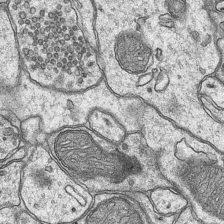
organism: Mouse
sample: CA1 Hippocampus